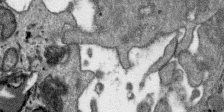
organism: Human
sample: Lung epithelial cells, uninfected (mock) control